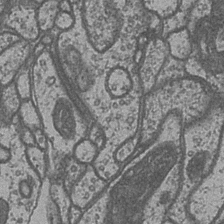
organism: Drosophila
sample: Optic medulla